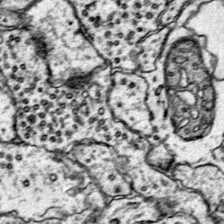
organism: Mouse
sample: Primary visual cortex